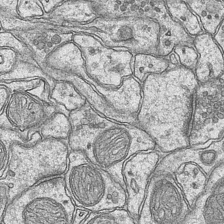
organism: Mouse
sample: CA1 Hippocampus